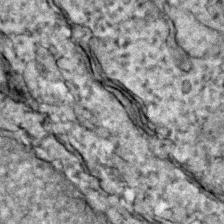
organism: Zebrafish